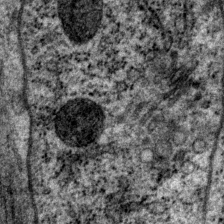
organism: P. pacificus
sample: Pharynx